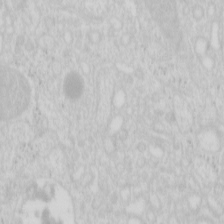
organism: Mouse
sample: Pancreas